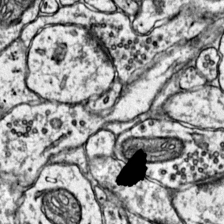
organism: Mouse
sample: Primary visual cortex